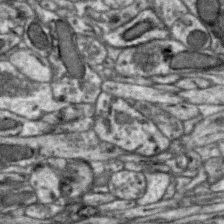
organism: Zebra finch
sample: Brain